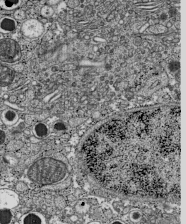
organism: C57BL Mouse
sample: Pancreatic islet